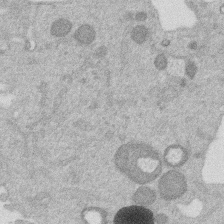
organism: Mouse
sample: Dividing mouse embryo 1 cell stage